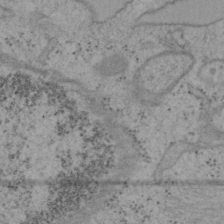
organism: Human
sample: HeLa cells